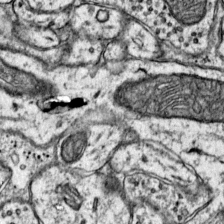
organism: Mouse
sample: Primary visual cortex